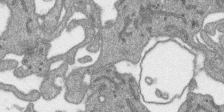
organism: Human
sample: Lung epithelial cells infected with SARS-CoV-2